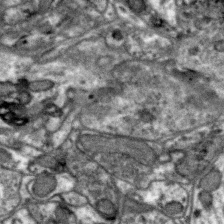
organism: Zebra finch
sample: Brain